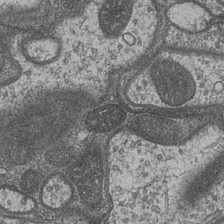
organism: Drosophila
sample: Optic medulla